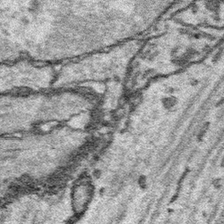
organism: Platynereis dumerilii